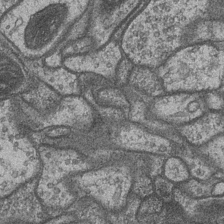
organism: Drosophila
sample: Optic medulla